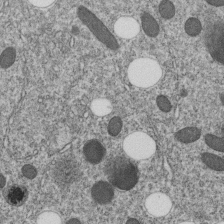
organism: C. elegans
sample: C. elegans embryo early stage